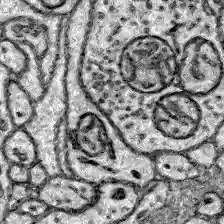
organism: Zebrafish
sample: Brain